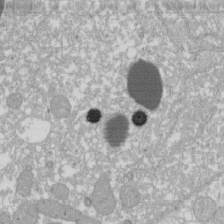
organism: Xenopus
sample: Cilia; centrioles in frog embryo cells